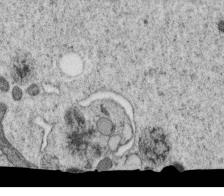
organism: C. elegans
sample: C. elegans oocyte; sperm cells